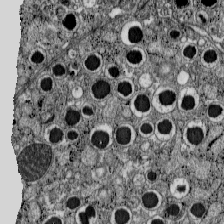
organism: C57BL Mouse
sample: Pancreatic islet